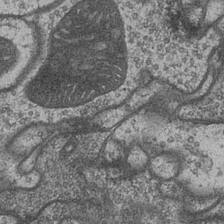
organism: Drosophila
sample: Optic medulla